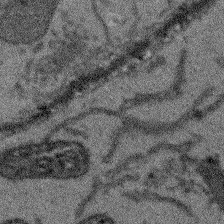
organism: Arabidopsis thaliana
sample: Root tip